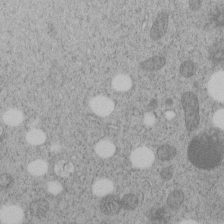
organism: C. elegans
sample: C. elegans embryo early stage